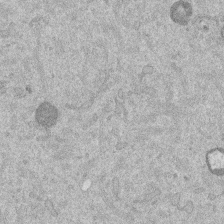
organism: Mouse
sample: Dividing mouse embryo 1 cell stage